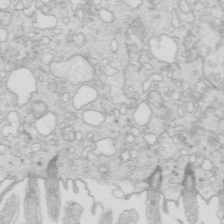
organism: Mouse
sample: Multiciliated cells